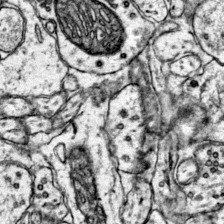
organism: Mouse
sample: Primary visual cortex